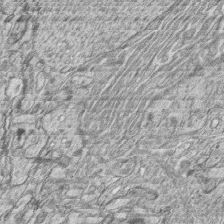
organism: Zebrafish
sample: synaptic ribbons in rod cells and cone cells